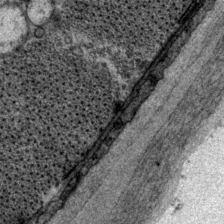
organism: P. pacificus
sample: Pharynx